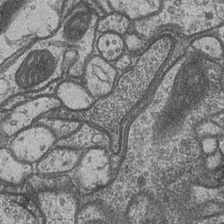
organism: Drosophila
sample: Optic medulla